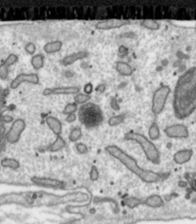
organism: Toxoplasma gondii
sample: Parasites in a vacuole inside a host cell